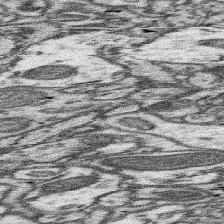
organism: Mouse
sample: Somatosensory cortex neuropil